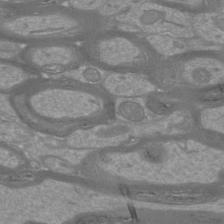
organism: Mouse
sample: Cortical neurons